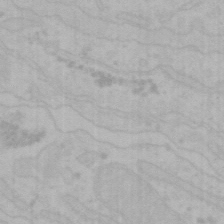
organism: Mouse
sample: Choroid plexus